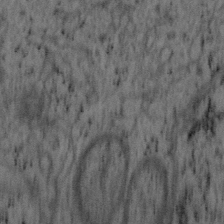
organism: Human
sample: HeLa cells